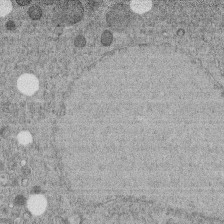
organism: C. elegans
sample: C. elegans embryo early stage